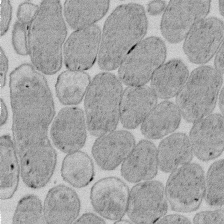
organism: E. coli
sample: Bacterial nucleoid